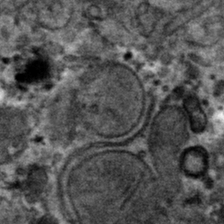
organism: Mouse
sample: Mouse hepatocytes